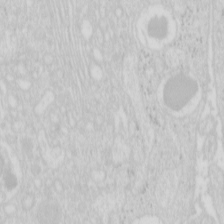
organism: Mouse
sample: Pancreas